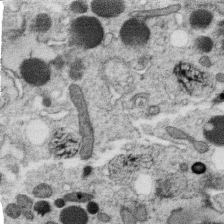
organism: C. elegans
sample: C. elegans oocyte; sperm cells